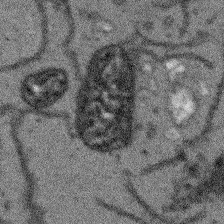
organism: Arabidopsis thaliana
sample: Root tip